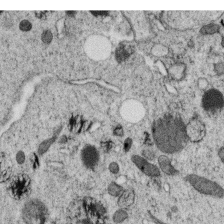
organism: C. elegans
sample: C. elegans oocyte; sperm cells